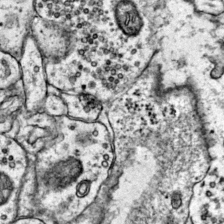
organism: Mouse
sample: Primary visual cortex